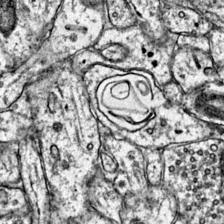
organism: Mouse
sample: Primary visual cortex